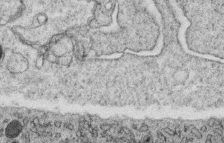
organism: C. elegans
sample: C. elegans oocyte; sperm cells